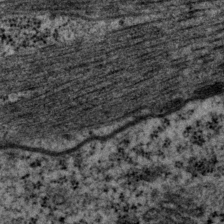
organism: P. pacificus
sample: Pharynx